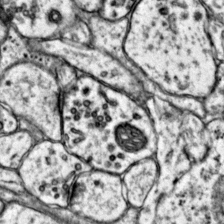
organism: Mouse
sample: Primary visual cortex